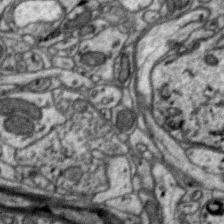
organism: Zebra finch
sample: Brain